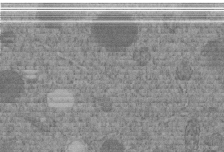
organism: C. elegans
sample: C. elegans embryo early stage